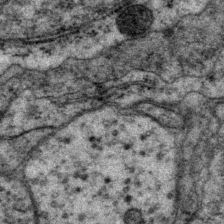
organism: P. pacificus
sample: Pharynx